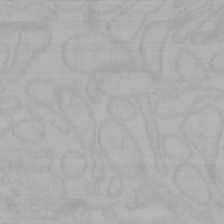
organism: Mouse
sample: Choroid plexus